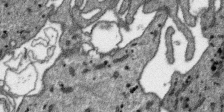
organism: Human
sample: Lung epithelial cells, uninfected (mock) control